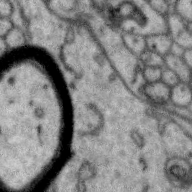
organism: Zebra finch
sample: Brain